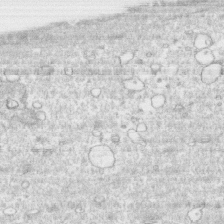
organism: Human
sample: CRL-1474